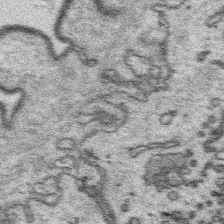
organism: Platynereis dumerilii